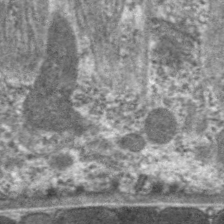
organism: C. elegans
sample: Pharynx